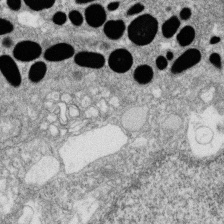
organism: Zebrafish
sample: Cilia; retinal pigment epithelium